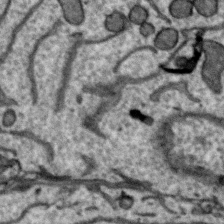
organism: Zebra finch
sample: Brain